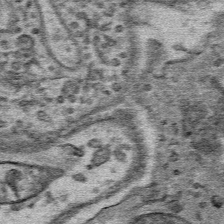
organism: Mouse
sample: Mouse Salivary gland